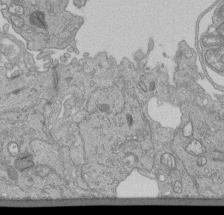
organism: Human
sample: Retinal organoid Rod and Cone cells